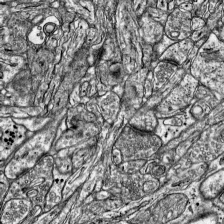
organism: Mouse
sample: Visual Cortex